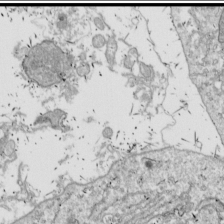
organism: Drosophila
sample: Cell division; meiosis; drosophila spermatocytes